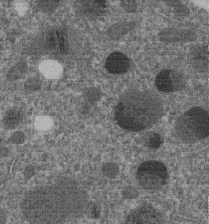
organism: C. elegans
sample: C. elegans embryo early stage